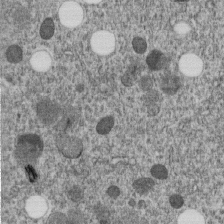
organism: C. elegans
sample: C. elegans embryo early stage